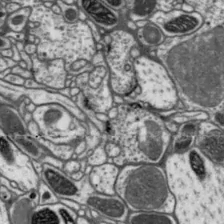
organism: Drosophila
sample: Protocerebral bridge